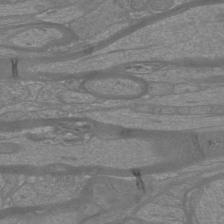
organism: Mouse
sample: Cortical neurons